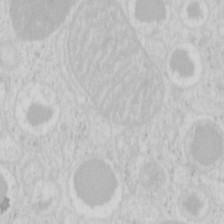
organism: Mouse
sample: Pancreas